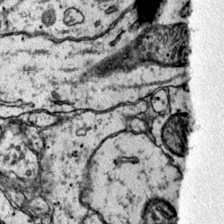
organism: Mouse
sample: Primary visual cortex